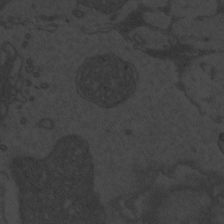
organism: Zebrafish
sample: Macrophage infected with Toxoplasma gondii